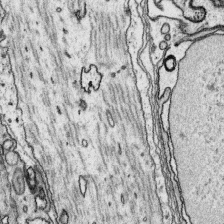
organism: Platynereis dumerilii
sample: Parapodia